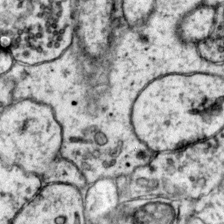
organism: Mouse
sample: Primary visual cortex